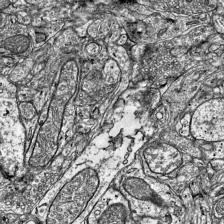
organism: Mouse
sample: Visual Cortex